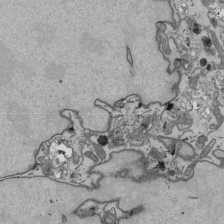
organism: Mouse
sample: ED-1 cell nuclei; centrioles